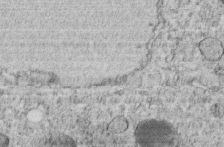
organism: C. elegans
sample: C. elegans embryo early stage